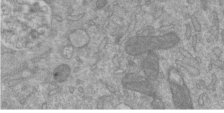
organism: Mouse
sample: ED-1 cell nuclei; centrioles